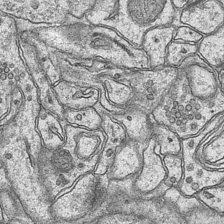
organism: Mouse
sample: CA1 Hippocampus